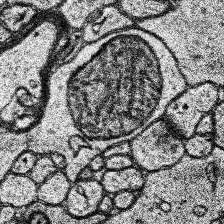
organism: Human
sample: Temporal Lobe